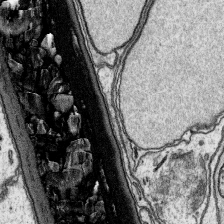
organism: Platynereis dumerilii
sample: Parapodia